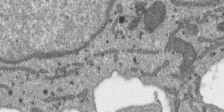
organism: Human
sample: Lung epithelial cells infected with SARS-CoV-2